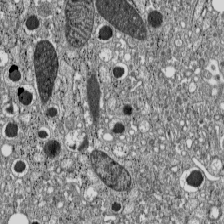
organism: C57BL Mouse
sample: Pancreatic islet